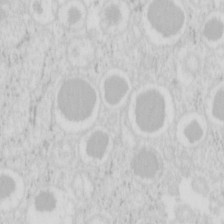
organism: Mouse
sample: Pancreas